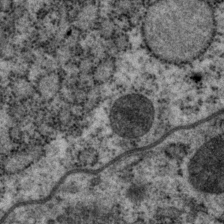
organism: P. pacificus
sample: Pharynx